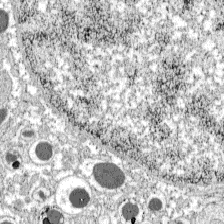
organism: C57BL Mouse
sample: Pancreatic islet